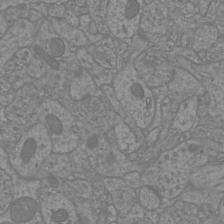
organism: Mouse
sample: Cortical neurons